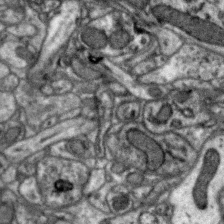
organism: Zebra finch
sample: Brain